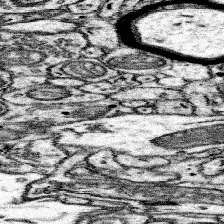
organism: Mouse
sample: Somatosensory cortex neuropil